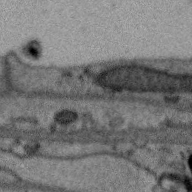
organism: Zebra finch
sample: Brain